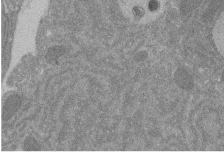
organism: Rat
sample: Salivary granule